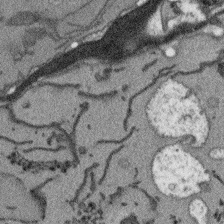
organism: Arabidopsis thaliana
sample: Root tip